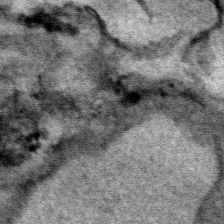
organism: Human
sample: Mitochondria in HCT116 cells